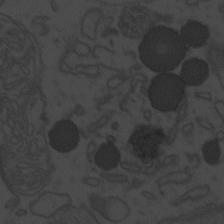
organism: Zebrafish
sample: Macrophage infected with Toxoplasma gondii